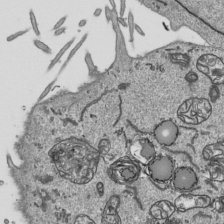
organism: Human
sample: Mitochondria in HCT116 cells